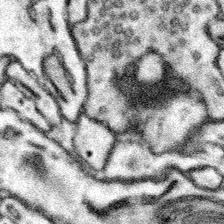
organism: Mouse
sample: Somatosensory cortex neuropil